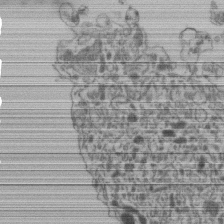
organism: Human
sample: Retinal organoid Rod and Cone cells